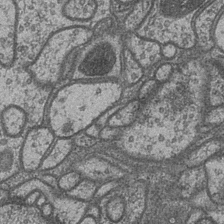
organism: Drosophila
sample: Optic medulla